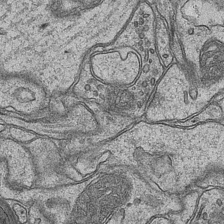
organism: Mouse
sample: CA1 Hippocampus